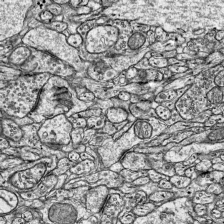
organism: Mouse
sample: Visual Cortex